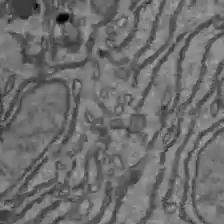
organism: C57BL Mouse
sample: Liver